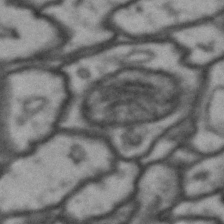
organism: Drosophila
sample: Brain